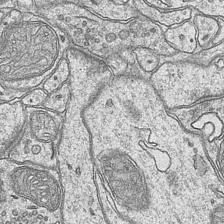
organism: Mouse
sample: CA1 Hippocampus